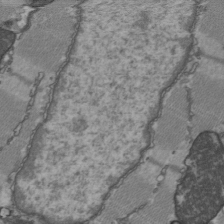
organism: C57BL Mouse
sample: Heart